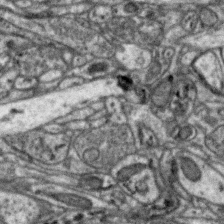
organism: Zebra finch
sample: Brain